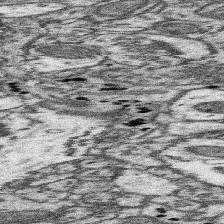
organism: Mouse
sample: Somatosensory cortex neuropil